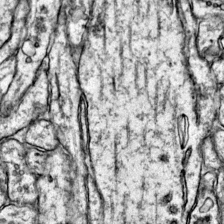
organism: Mouse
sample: Primary visual cortex